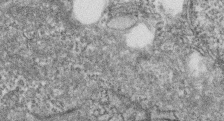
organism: Zebrafish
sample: Cilia; retinal pigment epithelium